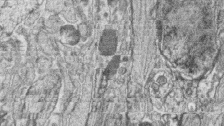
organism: Zebrafish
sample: synaptic ribbons in rod cells and cone cells